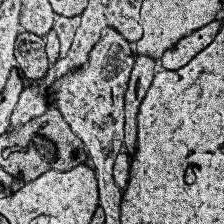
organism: Human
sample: Temporal Lobe